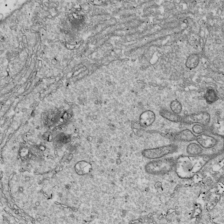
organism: Drosophila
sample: Cell division; meiosis; drosophila spermatocytes